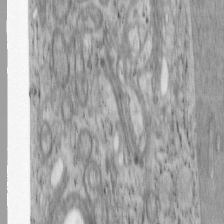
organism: Human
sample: HeLa cells